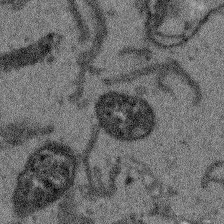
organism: Arabidopsis thaliana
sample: Root tip